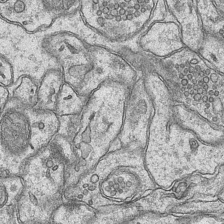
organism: Mouse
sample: CA1 Hippocampus